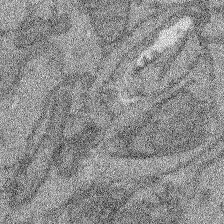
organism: Human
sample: HeLa cells